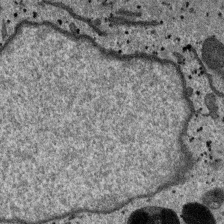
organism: Human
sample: Lung epithelial cells, uninfected (mock) control